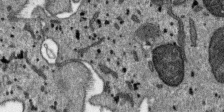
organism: Human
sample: Lung epithelial cells, uninfected (mock) control